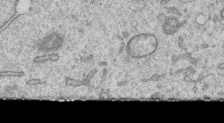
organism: Human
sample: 1205lu cells